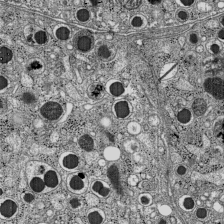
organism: C57BL Mouse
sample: Pancreatic islet